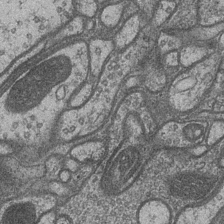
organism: Drosophila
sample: Optic medulla